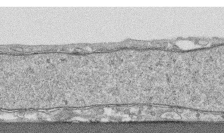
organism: Human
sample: CRL-1474